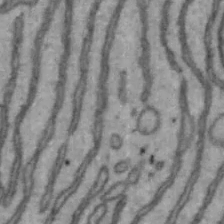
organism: Mouse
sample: Liver